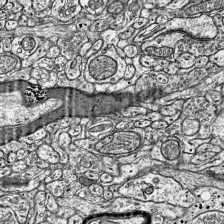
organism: Mouse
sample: Visual Cortex